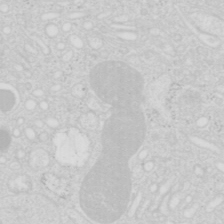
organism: Mouse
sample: Pancreas